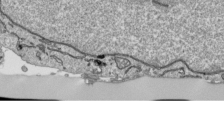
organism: Human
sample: Mitochondria in HCT116 cells